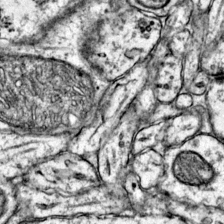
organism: Mouse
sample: Primary visual cortex